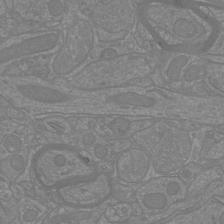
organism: Mouse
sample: Cortical neurons